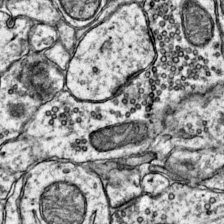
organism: Mouse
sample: Primary visual cortex